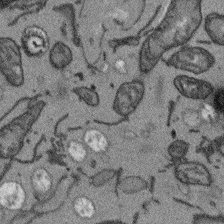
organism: Arabidopsis thaliana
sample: Root tip